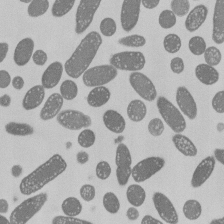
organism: E. coli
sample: Bacterial nucleoid